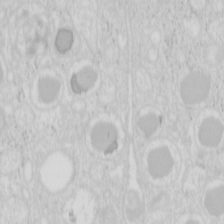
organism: Mouse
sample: Pancreas